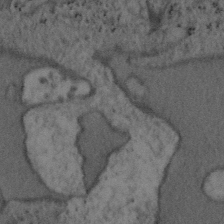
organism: Human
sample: HeLa cells